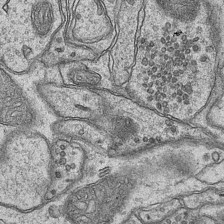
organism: Mouse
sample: CA1 Hippocampus